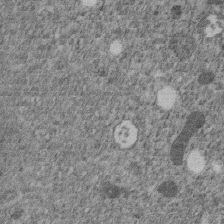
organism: C. elegans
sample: C. elegans embryo early stage